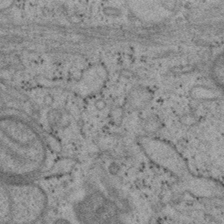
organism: Human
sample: HeLa cells